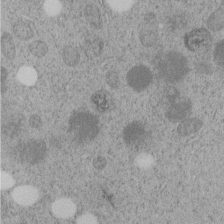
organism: C. elegans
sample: C. elegans embryo early stage